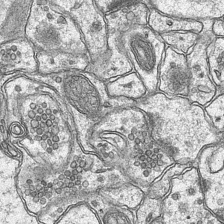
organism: Mouse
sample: CA1 Hippocampus